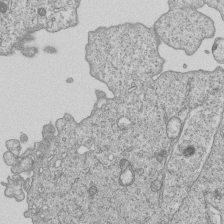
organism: Human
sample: MDA-MB-231 cells